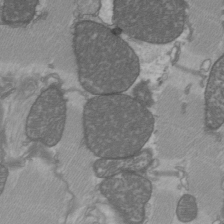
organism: C57BL Mouse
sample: Heart